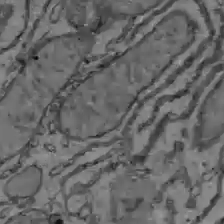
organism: C57BL Mouse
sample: Liver